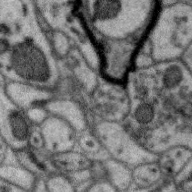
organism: Zebra finch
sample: Brain